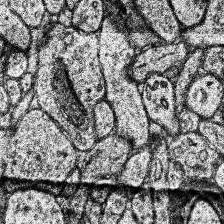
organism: Human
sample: Temporal Lobe